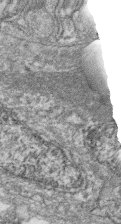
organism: Zebrafish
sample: Cilia; retinal pigment epithelium